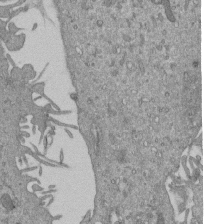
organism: Mouse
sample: ED-1 cell nuclei; centrioles